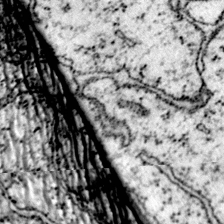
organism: Mouse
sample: Primary visual cortex